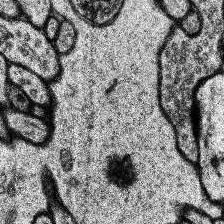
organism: Human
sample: Temporal Lobe